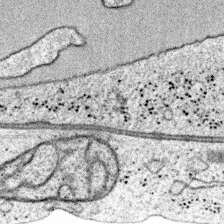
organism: Human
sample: HeLa cells